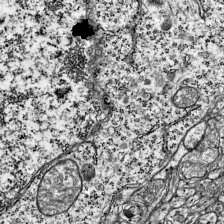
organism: Mouse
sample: Visual Cortex